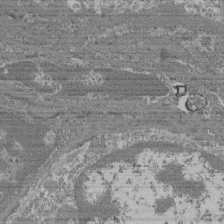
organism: Mouse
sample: Glomerulus